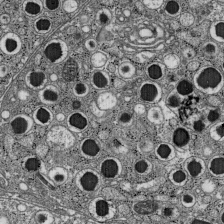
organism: C57BL Mouse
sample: Pancreatic islet